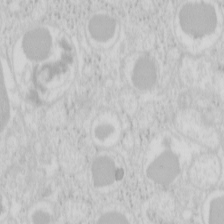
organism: Mouse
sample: Pancreas